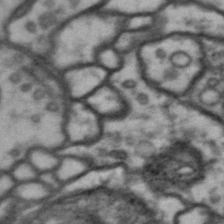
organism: Drosophila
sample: Brain